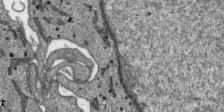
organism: Human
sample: Lung epithelial cells, uninfected (mock) control